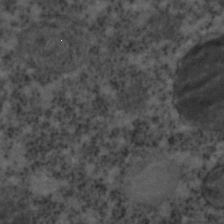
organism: C. elegans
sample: C. elegans embryo